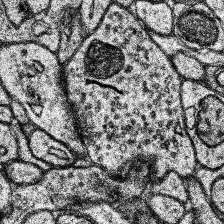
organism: Human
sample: Temporal Lobe